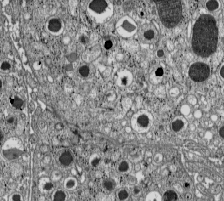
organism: C57BL Mouse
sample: Pancreatic islet